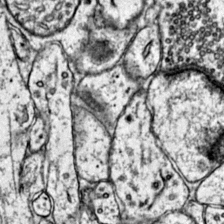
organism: Mouse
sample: Primary visual cortex